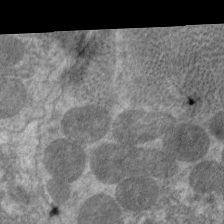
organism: C. elegans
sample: Pharynx